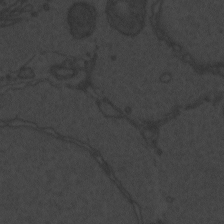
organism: Zebrafish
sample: Macrophage infected with Toxoplasma gondii